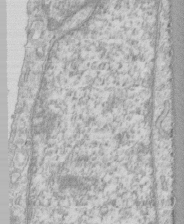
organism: Human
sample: CRL-1474